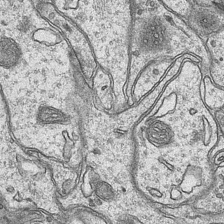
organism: Mouse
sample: CA1 Hippocampus